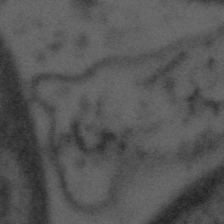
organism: Tuwongella immobilis